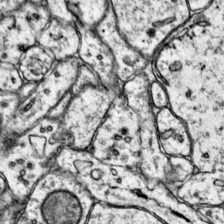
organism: Mouse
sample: Primary visual cortex